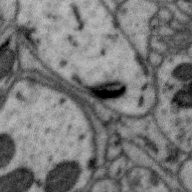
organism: Zebra finch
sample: Brain